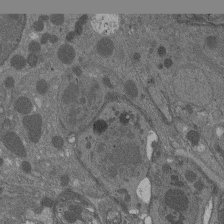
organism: Drosophila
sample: Antenna